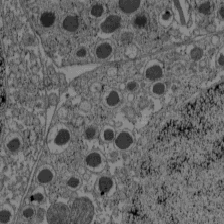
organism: C57BL Mouse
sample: Pancreatic islet